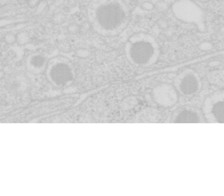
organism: Mouse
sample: Pancreas